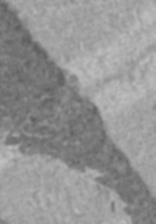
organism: C57BL Mouse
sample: Heart